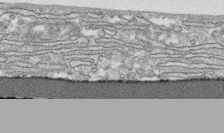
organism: Human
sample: CRL-1474